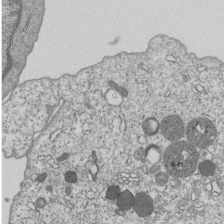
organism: Human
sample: MDA-MB-231 cells